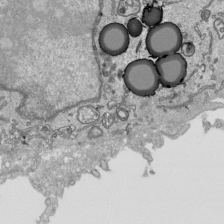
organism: Human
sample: Mitochondria in HCT116 cells